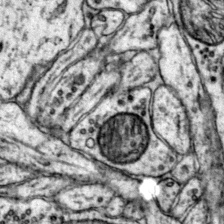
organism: Mouse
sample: Primary visual cortex